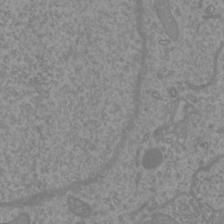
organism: Mouse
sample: Cortical neurons